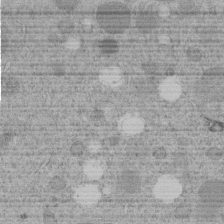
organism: C. elegans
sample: C. elegans embryo early stage